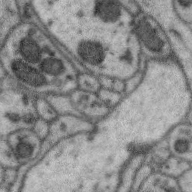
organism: Zebra finch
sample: Brain